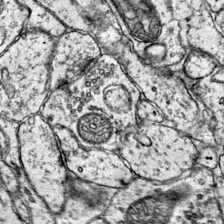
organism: Mouse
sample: Primary visual cortex